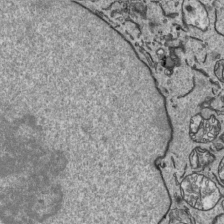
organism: Human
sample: Mitochondria in HCT116 cells